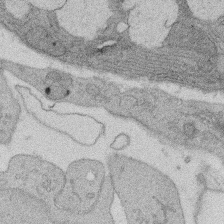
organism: Rat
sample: Salivary granule